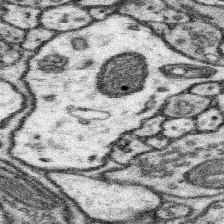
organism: Mouse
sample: Somatosensory cortex neuropil